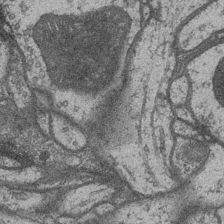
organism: Drosophila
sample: Optic medulla